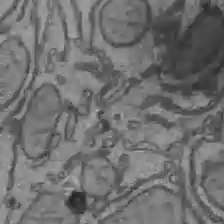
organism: C57BL Mouse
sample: Liver